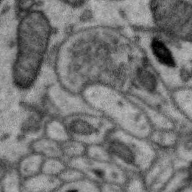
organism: Zebra finch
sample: Brain